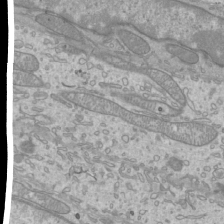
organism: Mouse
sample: Cilia; mouse epididymis